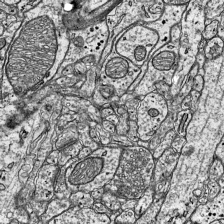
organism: Mouse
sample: Visual Cortex